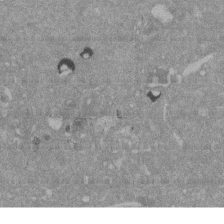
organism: Mouse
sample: ED-1 cell nuclei; centrioles